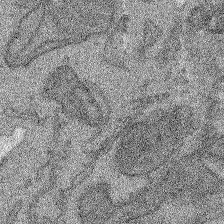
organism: Human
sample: HeLa cells